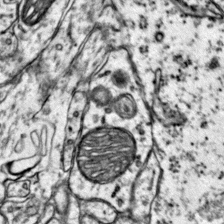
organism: Mouse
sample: Primary visual cortex